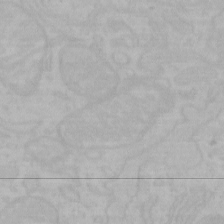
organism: Mouse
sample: Choroid plexus